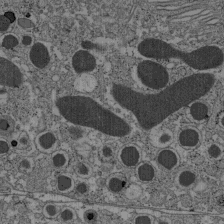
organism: C57BL Mouse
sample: Pancreatic islet